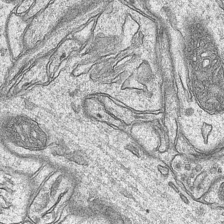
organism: Mouse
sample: CA1 Hippocampus